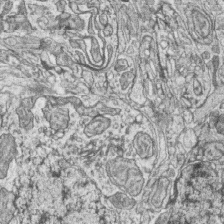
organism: Zebrafish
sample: synaptic ribbons in rod cells and cone cells